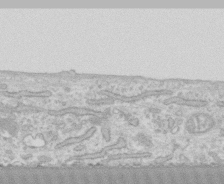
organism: Human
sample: CRL-1474